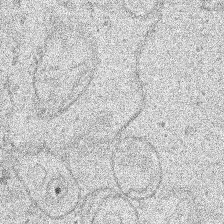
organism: Human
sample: Mitochondria in HCT116 cells